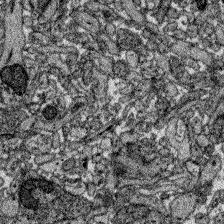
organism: Zebrafish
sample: Larval olfactory bulb